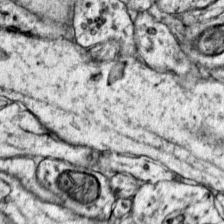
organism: Mouse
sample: Primary visual cortex